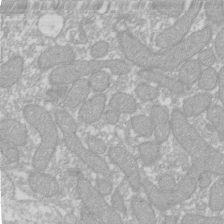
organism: Xenopus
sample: Cilia; centrioles in frog embryo cells